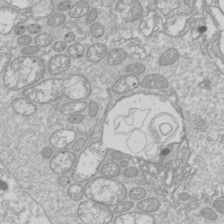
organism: Drosophila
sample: Cell division; meiosis; drosophila spermatocytes